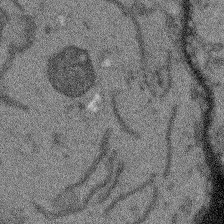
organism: Arabidopsis thaliana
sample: Root tip